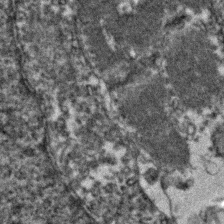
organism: Zebrafish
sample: Zebrafish embryo